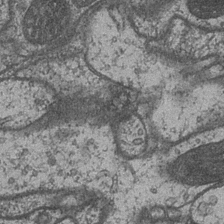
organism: Drosophila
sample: Optic medulla